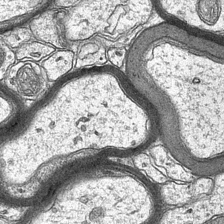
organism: Mouse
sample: CA1 Hippocampus